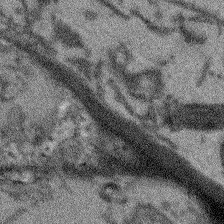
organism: Arabidopsis thaliana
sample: Root tip